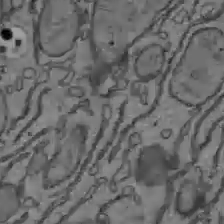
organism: C57BL Mouse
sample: Liver